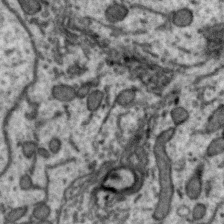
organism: Zebra finch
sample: Brain